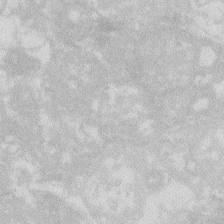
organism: Zebrafish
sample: Macrophage